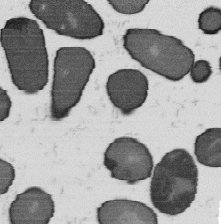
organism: B. subtilis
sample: Bacterial spore